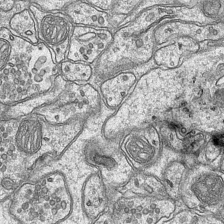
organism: Mouse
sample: CA1 Hippocampus